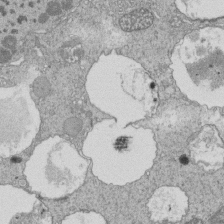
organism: Tetrahymena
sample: Cilia in tetrahymena